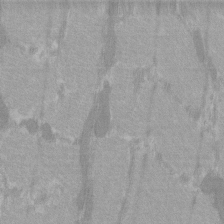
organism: C57BL Mouse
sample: Tibialis anterior muscle cell